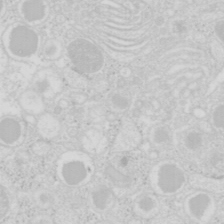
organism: Mouse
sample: Pancreas